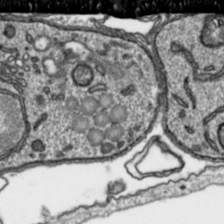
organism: Toxoplasma gondii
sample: Parasites in a vacuole inside a host cell